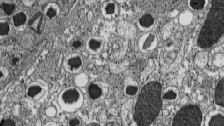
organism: C57BL Mouse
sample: Pancreatic islet